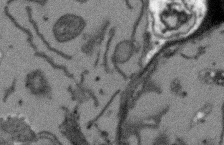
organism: Arabidopsis thaliana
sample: Root tip